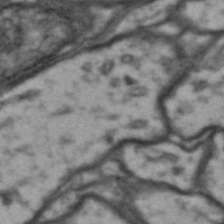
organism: Drosophila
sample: Brain